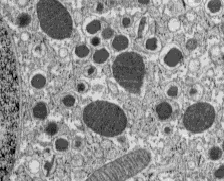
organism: C57BL Mouse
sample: Pancreatic islet